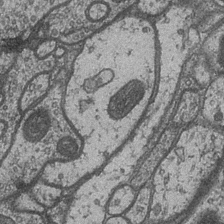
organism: Drosophila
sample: Optic medulla